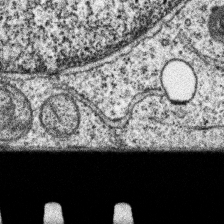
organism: Human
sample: HeLa cells